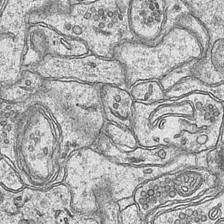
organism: Mouse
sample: CA1 Hippocampus